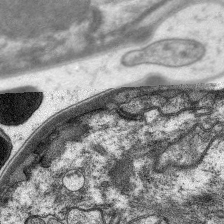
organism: C. elegans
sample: Pharynx